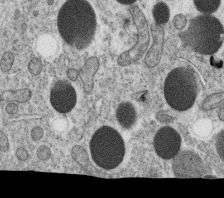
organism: C. elegans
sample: C. elegans oocyte; sperm cells